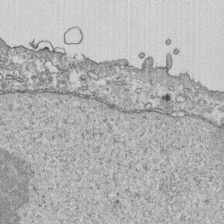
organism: Human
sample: HeLa cell HIV synapse